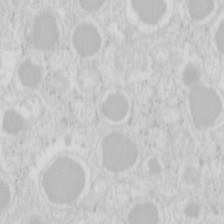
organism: Mouse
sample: Pancreas